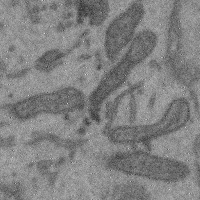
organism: Mouse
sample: Cerebral cortex